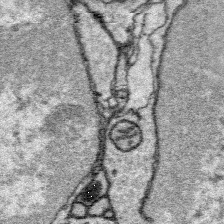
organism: Platynereis dumerilii